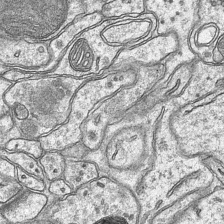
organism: Mouse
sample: CA1 Hippocampus